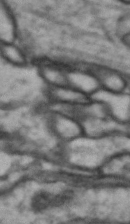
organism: Drosophila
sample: Brain